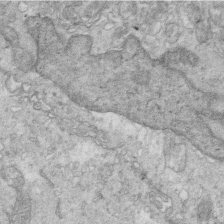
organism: Mouse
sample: Multiciliated cells